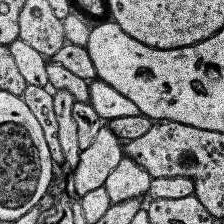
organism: Human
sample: Temporal Lobe